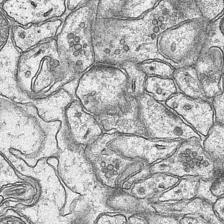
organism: Mouse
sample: CA1 Hippocampus